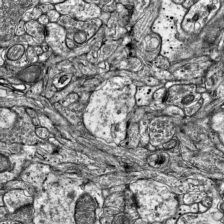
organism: Mouse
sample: Visual Cortex